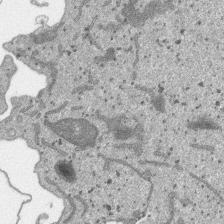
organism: Human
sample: Lung epithelial cells infected with SARS-CoV-2